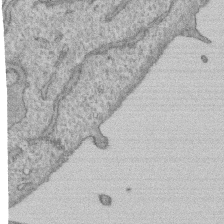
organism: Human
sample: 1205lu cells